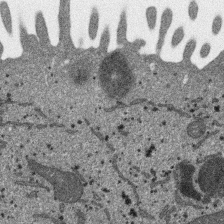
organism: Human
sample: Lung epithelial cells infected with SARS-CoV-2